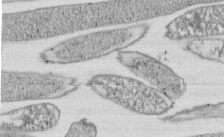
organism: E. coli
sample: Bacterial nucleoid